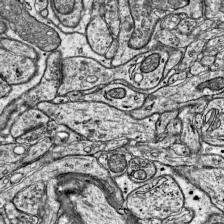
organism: Mouse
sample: Visual Cortex